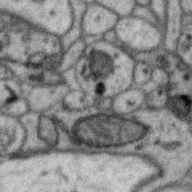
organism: Zebra finch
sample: Brain